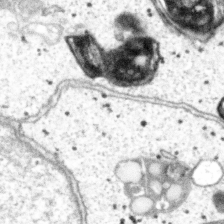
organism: Human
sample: HeLa cells